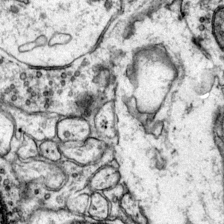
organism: Mouse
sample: Primary visual cortex